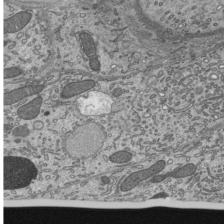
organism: Mouse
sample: Mouse epididymis efferent ductule cilia